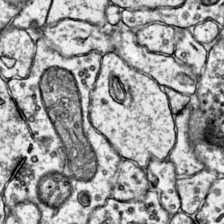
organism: Mouse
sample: Primary visual cortex